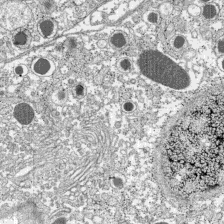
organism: C57BL Mouse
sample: Pancreatic islet